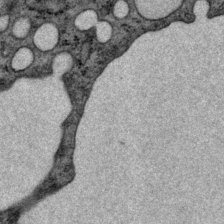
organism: P. pacificus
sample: Pharynx